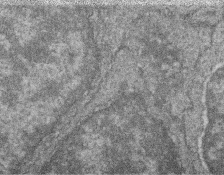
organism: Zebrafish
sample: Cilia; retinal pigment epithelium